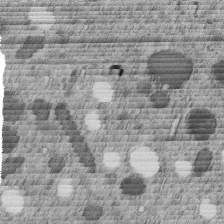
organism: C. elegans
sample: C. elegans embryo early stage